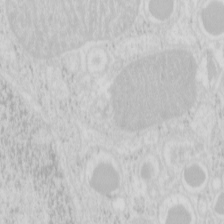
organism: Mouse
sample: Pancreas